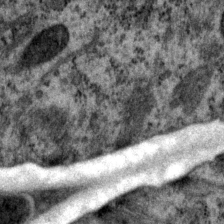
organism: P. pacificus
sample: Pharynx